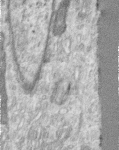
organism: Human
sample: Centriole in RPE cells